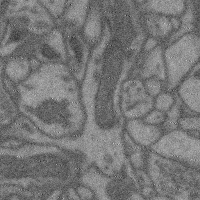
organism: Mouse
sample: Cerebral cortex